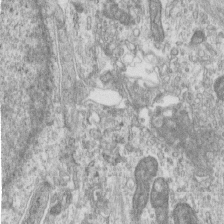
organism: Human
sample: Centriole in RPE cells